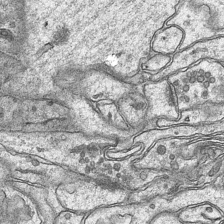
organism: Mouse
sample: CA1 Hippocampus